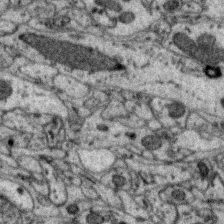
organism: Zebra finch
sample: Brain